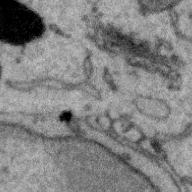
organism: Zebra finch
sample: Brain